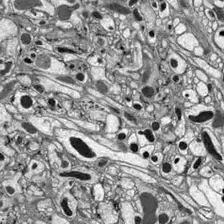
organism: Drosophila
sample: Optic lobe